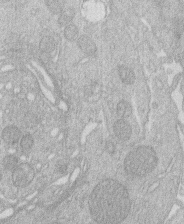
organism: Human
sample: Macrophage cells